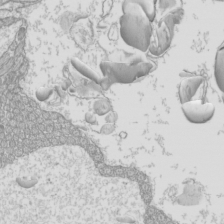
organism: Mouse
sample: Cilia; mouse epididymis